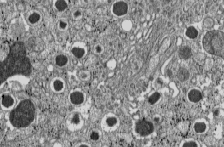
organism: C57BL Mouse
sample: Pancreatic islet